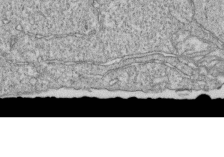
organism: Human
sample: HeLa cell HIV synapse